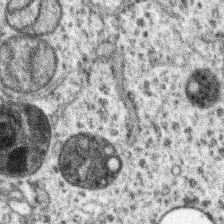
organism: Human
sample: HeLa cells